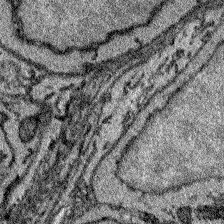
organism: Zebrafish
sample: Larval olfactory bulb